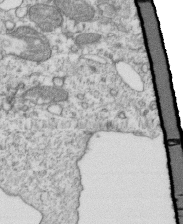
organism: Mouse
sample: Activated OT-1 CD8+ T cells